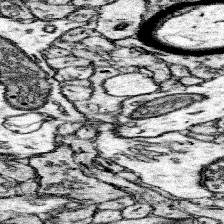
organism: Mouse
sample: Somatosensory cortex neuropil